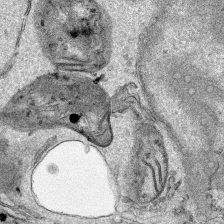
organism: Human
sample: Mitochondria in HCT116 cells